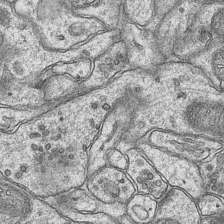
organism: Mouse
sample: CA1 Hippocampus